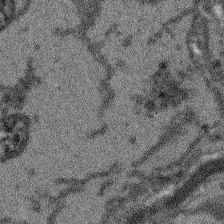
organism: Arabidopsis thaliana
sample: Root tip